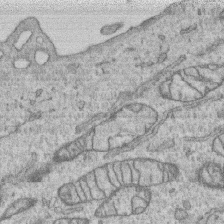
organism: Human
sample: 1205lu cells